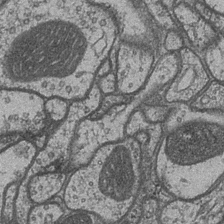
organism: Drosophila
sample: Optic medulla